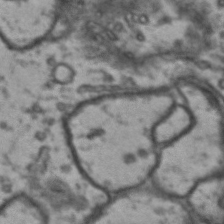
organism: Drosophila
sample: Brain